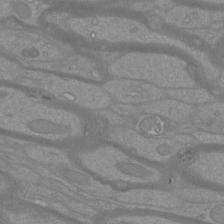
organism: Mouse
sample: Cortical neurons